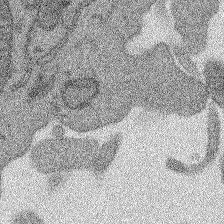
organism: Human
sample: HeLa cells